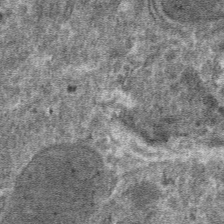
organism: Mouse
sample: Mouse hepatocytes